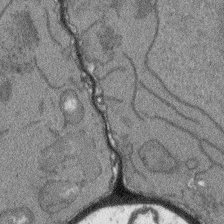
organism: Arabidopsis thaliana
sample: Root tip